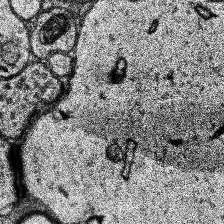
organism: Human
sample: Temporal Lobe